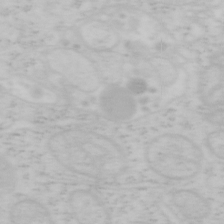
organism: Mouse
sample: OT-I killer T cells with ID8 ovarian cancer cells